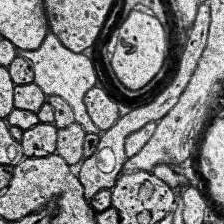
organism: Human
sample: Temporal Lobe